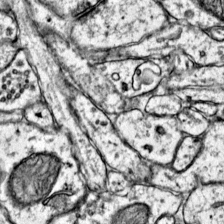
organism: Mouse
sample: Primary visual cortex